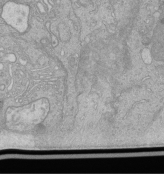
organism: Human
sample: Retinal organoid Rod and Cone cells